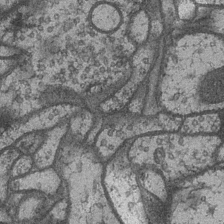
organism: Drosophila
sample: Optic medulla